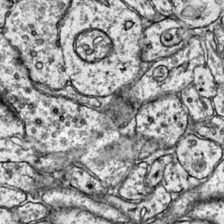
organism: Mouse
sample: Primary visual cortex